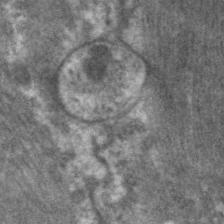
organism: C. elegans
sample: Pharynx